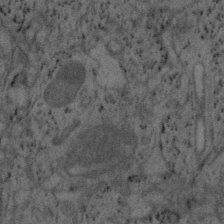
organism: Human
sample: HeLa cells